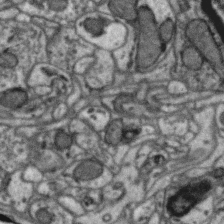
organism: Zebra finch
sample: Brain